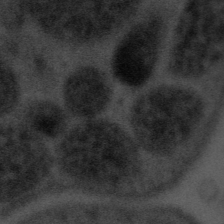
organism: Tuwongella immobilis